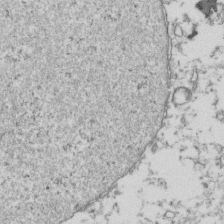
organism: Human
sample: Activated Jurkat CD4+ T cells